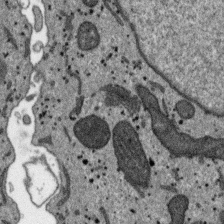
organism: Human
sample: Lung epithelial cells, uninfected (mock) control